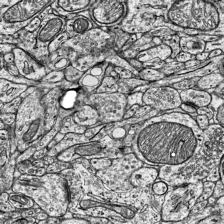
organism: Mouse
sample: Visual Cortex